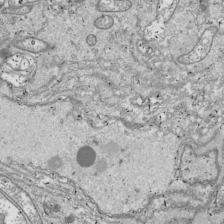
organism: Drosophila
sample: Cell division; meiosis; drosophila spermatocytes